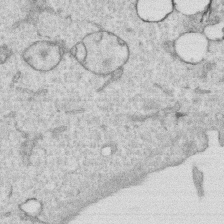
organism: Human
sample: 1205lu cells